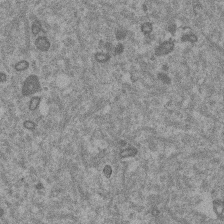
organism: Mouse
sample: Dividing mouse embryo 1 cell stage